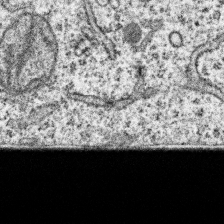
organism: Human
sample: HeLa cells